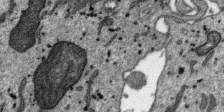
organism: Human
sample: Lung epithelial cells, uninfected (mock) control